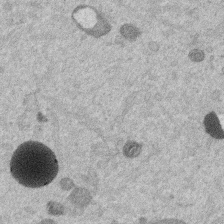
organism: Mouse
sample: Dividing mouse embryo 1 cell stage